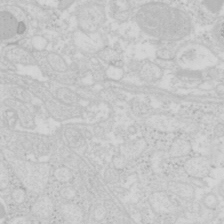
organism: Mouse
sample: Pancreas